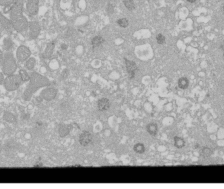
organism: Xenopus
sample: Cilia; centrioles in frog embryo cells